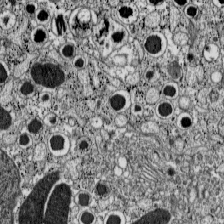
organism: C57BL Mouse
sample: Pancreatic islet